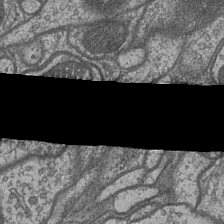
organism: Drosophila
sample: Optic medulla